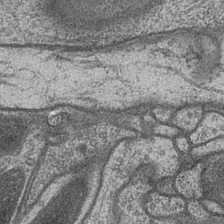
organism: Drosophila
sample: Optic medulla